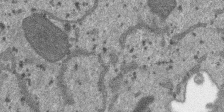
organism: Human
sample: Lung epithelial cells infected with SARS-CoV-2